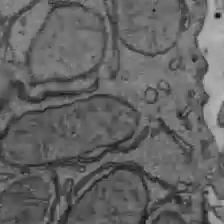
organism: C57BL Mouse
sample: Liver